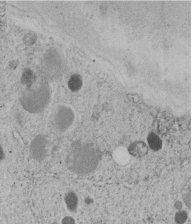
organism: C. elegans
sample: C. elegans embryo early stage